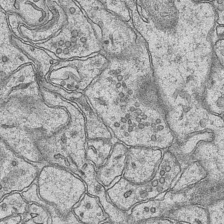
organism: Mouse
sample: CA1 Hippocampus